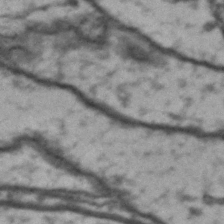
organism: Drosophila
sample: Brain